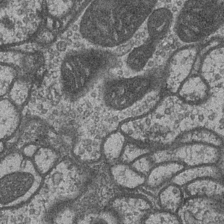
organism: Drosophila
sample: Optic medulla